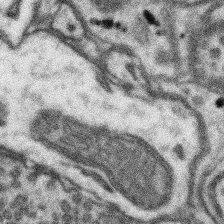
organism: Mouse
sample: Somatosensory cortex neuropil